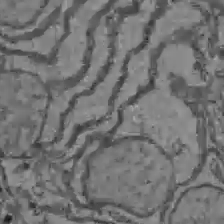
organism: C57BL Mouse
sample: Liver